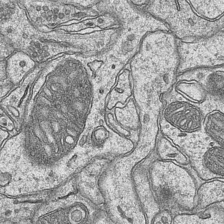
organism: Mouse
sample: CA1 Hippocampus